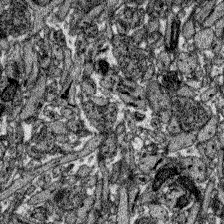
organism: Zebrafish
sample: Larval olfactory bulb